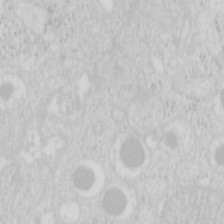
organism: Mouse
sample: Pancreas